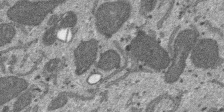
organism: Human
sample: Lung epithelial cells infected with SARS-CoV-2